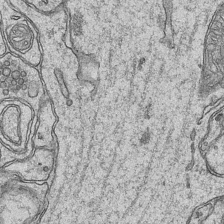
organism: Mouse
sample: CA1 Hippocampus